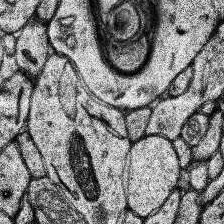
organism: Human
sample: Temporal Lobe